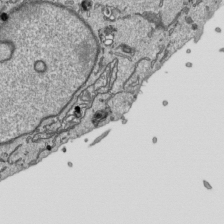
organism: Human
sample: Mitochondria in HCT116 cells